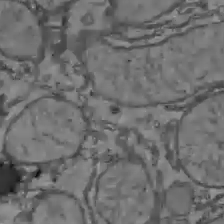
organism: C57BL Mouse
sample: Liver